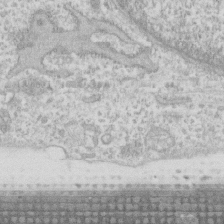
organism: Human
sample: Fibroblast cells